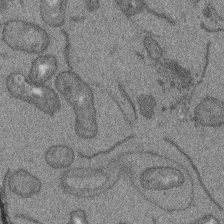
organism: Arabidopsis thaliana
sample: Root tip